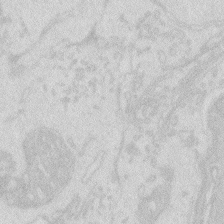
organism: Zebrafish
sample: Macrophage